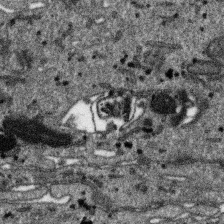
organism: Human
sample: Lung epithelial cells infected with SARS-CoV-2